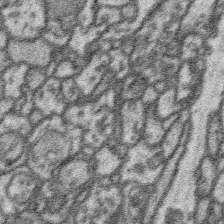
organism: Platynereis dumerilii